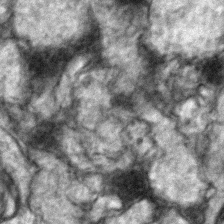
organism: Zebrafish